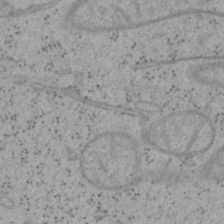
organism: Human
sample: HeLa cells